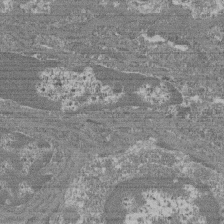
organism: Mouse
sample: Glomerulus